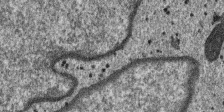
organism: Human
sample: Lung epithelial cells infected with SARS-CoV-2